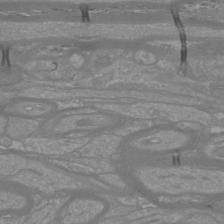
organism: Mouse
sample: Cortical neurons